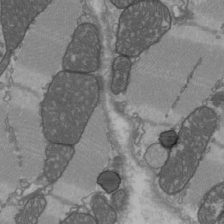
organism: C57BL Mouse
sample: Heart